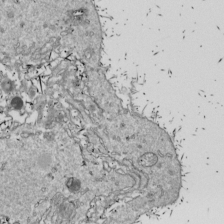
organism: Drosophila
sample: Cell division; meiosis; drosophila spermatocytes